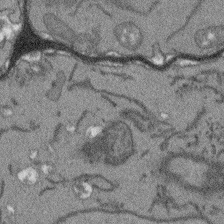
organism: Arabidopsis thaliana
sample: Root tip